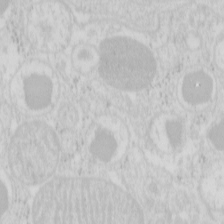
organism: Mouse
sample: Pancreas